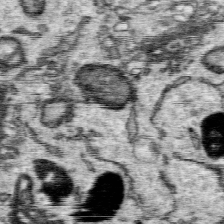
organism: Human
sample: HeLa cells